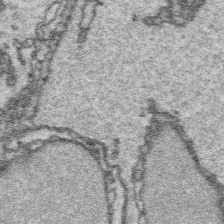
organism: Platynereis dumerilii